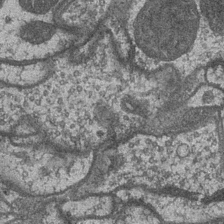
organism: Drosophila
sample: Optic medulla